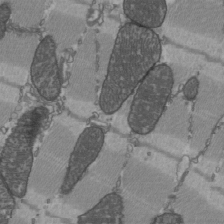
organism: C57BL Mouse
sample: Heart